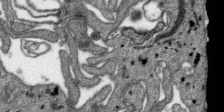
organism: Human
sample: Lung epithelial cells, uninfected (mock) control